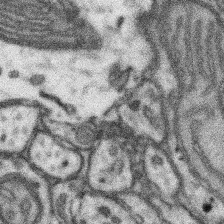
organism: Mouse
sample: Somatosensory cortex neuropil